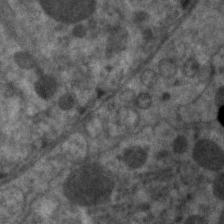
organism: C. elegans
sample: Pharynx